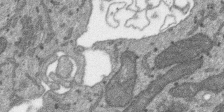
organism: Human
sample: Lung epithelial cells infected with SARS-CoV-2